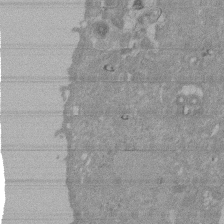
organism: Mouse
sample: ED-1 cell nuclei; centrioles